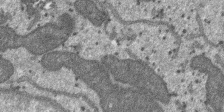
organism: Human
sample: Lung epithelial cells infected with SARS-CoV-2